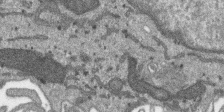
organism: Human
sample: Lung epithelial cells infected with SARS-CoV-2